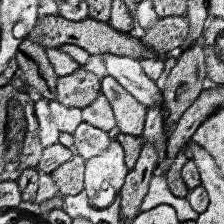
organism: Human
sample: Temporal Lobe